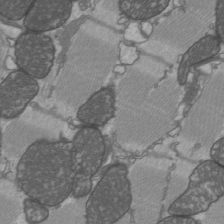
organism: C57BL Mouse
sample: Heart